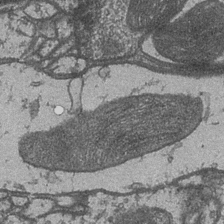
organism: Drosophila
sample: Optic medulla